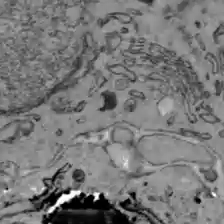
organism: C57BL Mouse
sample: Liver